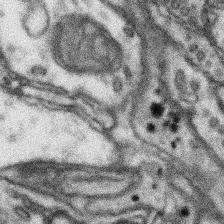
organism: Mouse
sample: Somatosensory cortex neuropil